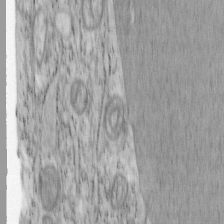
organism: Human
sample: HeLa cells